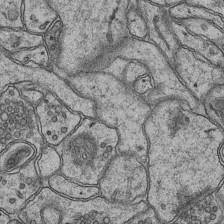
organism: Mouse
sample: CA1 Hippocampus